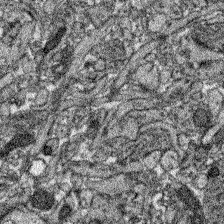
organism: Zebrafish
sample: Larval olfactory bulb